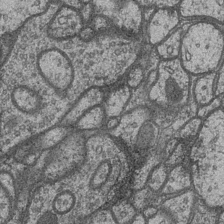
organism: Drosophila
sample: Optic medulla